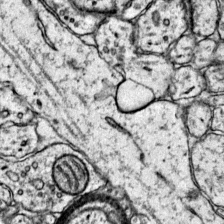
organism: Mouse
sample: Primary visual cortex